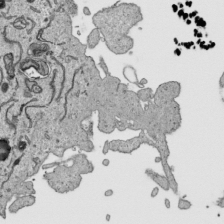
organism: Human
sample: Mitochondria in HCT116 cells